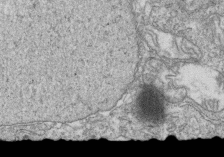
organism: Human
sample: HeLa cell HIV synapse